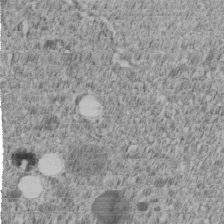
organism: C. elegans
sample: C. elegans embryo early stage